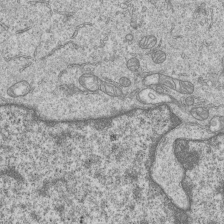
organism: Human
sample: MDA-MB-231 cells